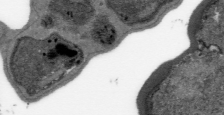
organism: Plasmodium falciparum